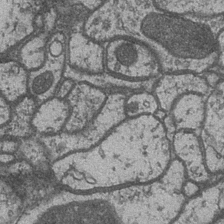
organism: Drosophila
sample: Optic medulla